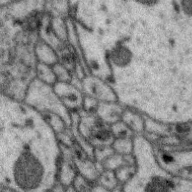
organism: Zebra finch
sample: Brain